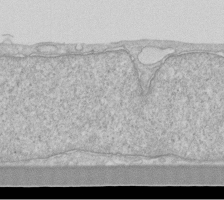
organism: Human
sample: Fibroblast cells